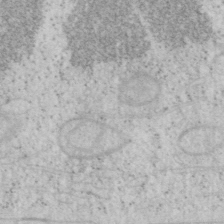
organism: Human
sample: HeLa cells